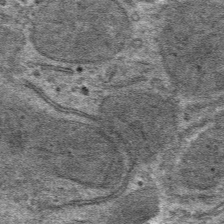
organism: Mouse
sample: Mouse hepatocytes